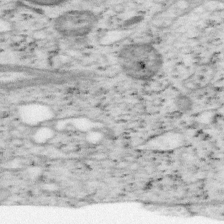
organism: Mouse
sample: OT-I killer T cells with ID8 ovarian cancer cells